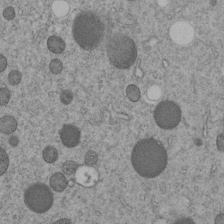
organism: C. elegans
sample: C. elegans embryo early stage